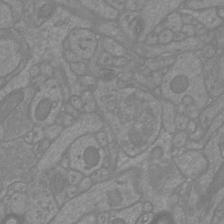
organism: Mouse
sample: Cortical neurons